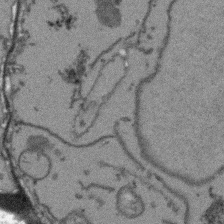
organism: Arabidopsis thaliana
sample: Root tip